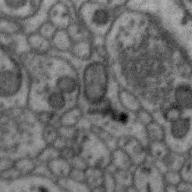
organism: Zebra finch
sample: Brain